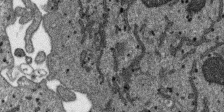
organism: Human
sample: Lung epithelial cells infected with SARS-CoV-2